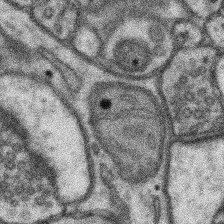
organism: Mouse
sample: Somatosensory cortex neuropil